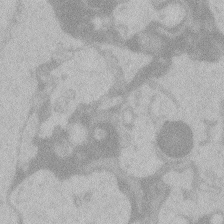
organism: Zebrafish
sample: Macrophage infected with Toxoplasma gondii